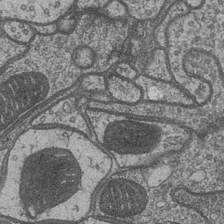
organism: Drosophila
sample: Optic medulla